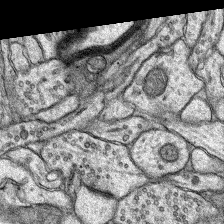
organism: Rat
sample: Hippocampus